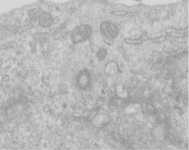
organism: Human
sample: Centriole in RPE cells